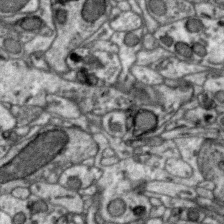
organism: Zebra finch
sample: Brain